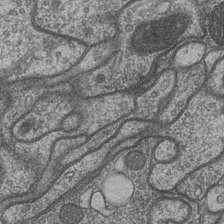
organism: Drosophila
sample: Optic medulla